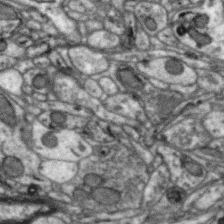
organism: Zebra finch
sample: Brain